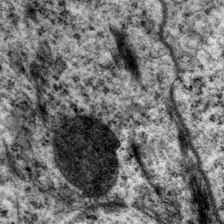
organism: P. pacificus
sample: Pharynx